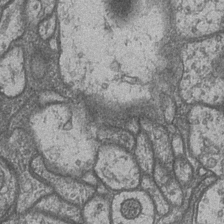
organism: Drosophila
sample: Optic medulla